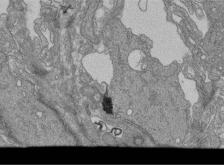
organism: Human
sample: Retinal organoid Rod and Cone cells